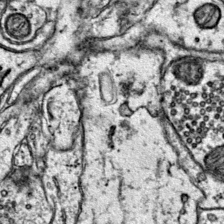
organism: Mouse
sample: Primary visual cortex